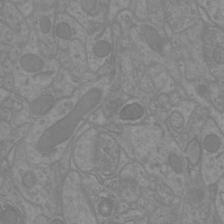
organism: Mouse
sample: Cortical neurons